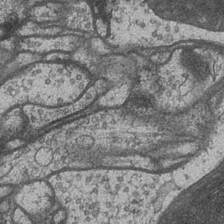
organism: Drosophila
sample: Optic medulla